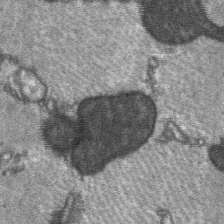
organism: C57BL Mouse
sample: Soleus